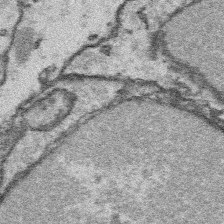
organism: Platynereis dumerilii